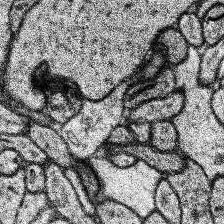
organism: Human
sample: Temporal Lobe